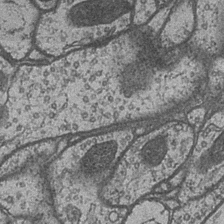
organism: Drosophila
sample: Optic medulla